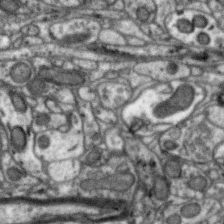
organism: Zebra finch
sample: Brain